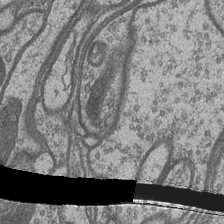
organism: Drosophila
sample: Optic medulla